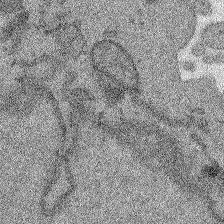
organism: Human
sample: HeLa cells